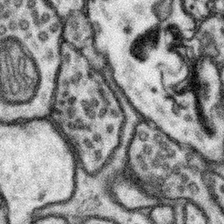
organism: Mouse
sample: Somatosensory cortex neuropil